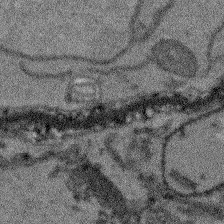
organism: Arabidopsis thaliana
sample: Root tip